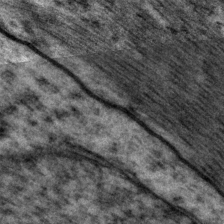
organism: P. pacificus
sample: Pharynx